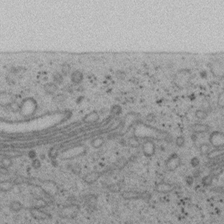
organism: Human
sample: HeLa cells